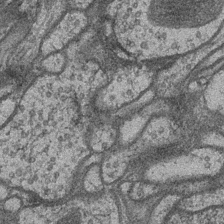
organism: Drosophila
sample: Optic medulla